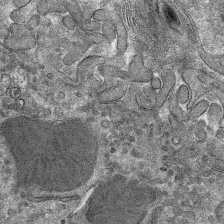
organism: Mouse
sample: Mouse hepatocytes